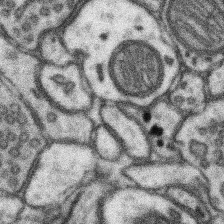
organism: Mouse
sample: Somatosensory cortex neuropil